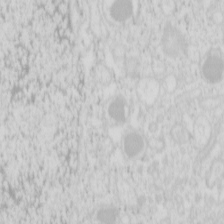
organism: Mouse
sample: Pancreas